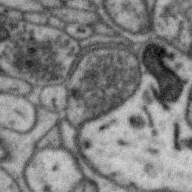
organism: Zebra finch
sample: Brain